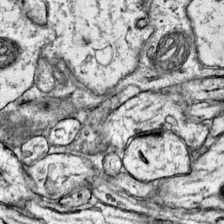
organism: Mouse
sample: Primary visual cortex